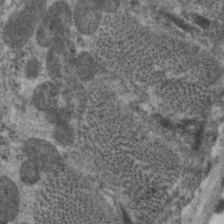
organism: C. elegans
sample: Pharynx